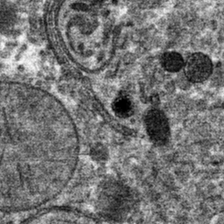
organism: Mouse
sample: Mouse hepatocytes